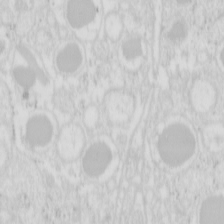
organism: Mouse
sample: Pancreas